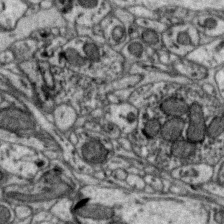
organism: Zebra finch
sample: Brain